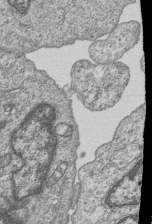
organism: Human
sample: MDA-MB-231 cells